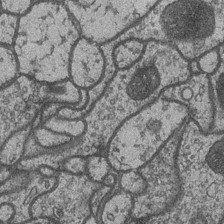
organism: Drosophila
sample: Optic medulla